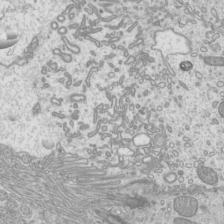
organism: Mouse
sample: Cilia; mouse epididymis